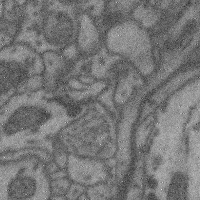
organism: Mouse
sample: Cerebral cortex